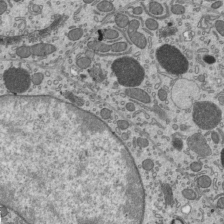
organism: Mouse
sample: Mouse epididymis efferent ductule cilia